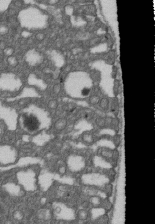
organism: Drosophila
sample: Nephrocyte